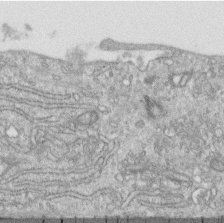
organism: Human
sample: Centriole in RPE cells